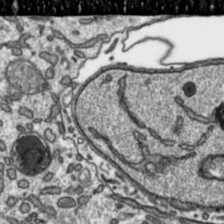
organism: Toxoplasma gondii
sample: Parasites in a vacuole inside a host cell